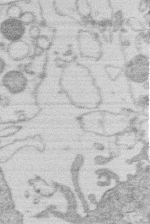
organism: Human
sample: Macrophage cells